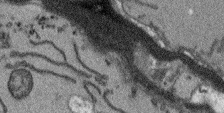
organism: Arabidopsis thaliana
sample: Root tip